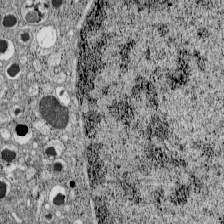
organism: C57BL Mouse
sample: Pancreatic islet